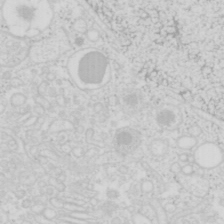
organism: Mouse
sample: Pancreas